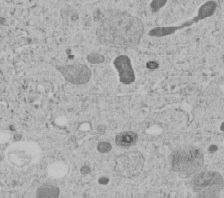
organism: C. elegans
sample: C. elegans embryo early stage